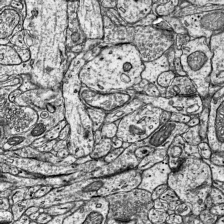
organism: Mouse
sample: Visual Cortex